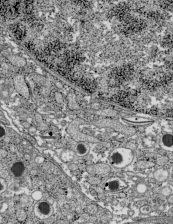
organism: C57BL Mouse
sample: Pancreatic islet